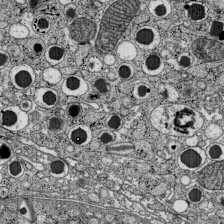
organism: C57BL Mouse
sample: Pancreatic islet